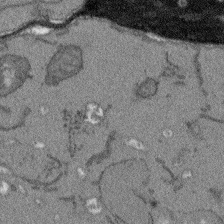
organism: Arabidopsis thaliana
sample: Root tip